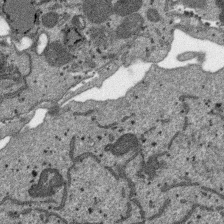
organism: Human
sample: Lung epithelial cells infected with SARS-CoV-2